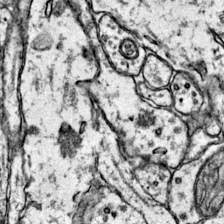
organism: Mouse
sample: Primary visual cortex